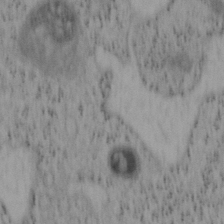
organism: Mouse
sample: OT-I killer T cells with ID8 ovarian cancer cells